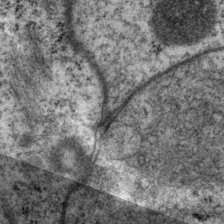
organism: P. pacificus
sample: Pharynx